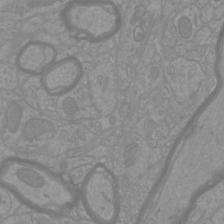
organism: Mouse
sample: Cortical neurons